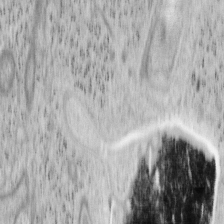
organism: Human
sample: HeLa cells